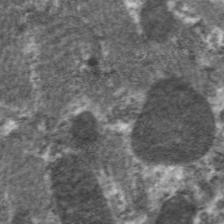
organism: C. elegans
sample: Pharynx